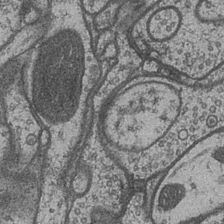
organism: Drosophila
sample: Optic medulla